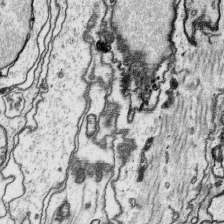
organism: Platynereis dumerilii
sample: Parapodia